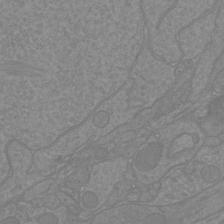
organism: Mouse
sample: Cortical neurons